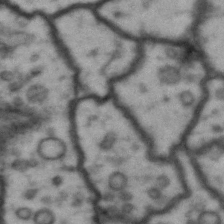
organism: Drosophila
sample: Brain